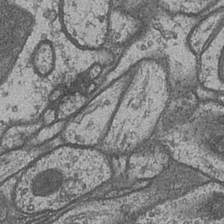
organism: Drosophila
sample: Optic medulla